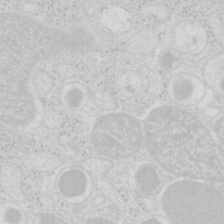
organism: Mouse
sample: Pancreas